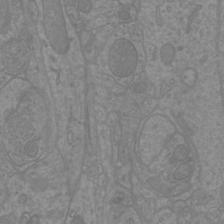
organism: Mouse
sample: Cortical neurons